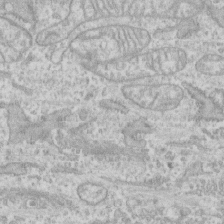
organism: Human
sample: CRL-1474